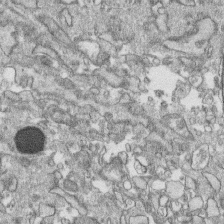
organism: Human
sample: CRL-1474